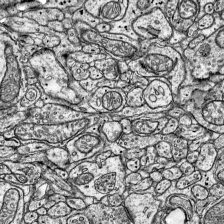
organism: Mouse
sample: Visual Cortex